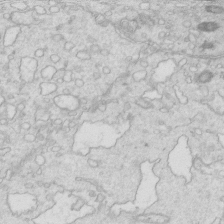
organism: Mouse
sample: Multiciliated cells